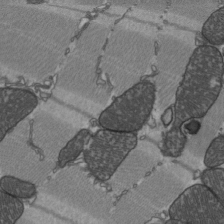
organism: C57BL Mouse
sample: Heart